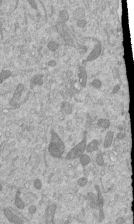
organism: Mouse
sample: ED-1 cell nuclei; centrioles